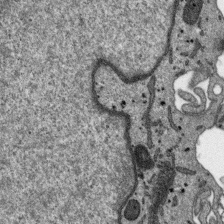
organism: Human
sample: Lung epithelial cells, uninfected (mock) control